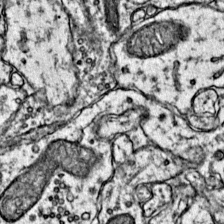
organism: Mouse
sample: Primary visual cortex